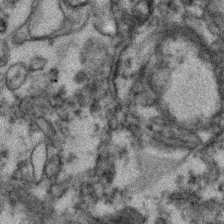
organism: Zebrafish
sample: Zebrafish embryo